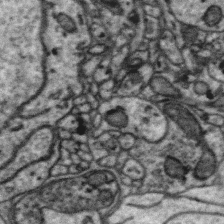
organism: Zebra finch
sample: Brain